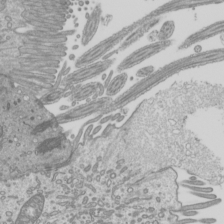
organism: Mouse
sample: Cilia; mouse epididymis